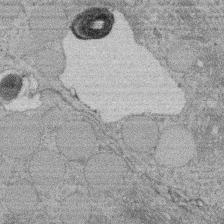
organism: Rat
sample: Salivary granule